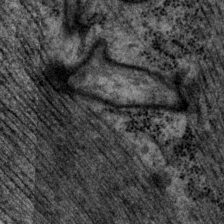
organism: P. pacificus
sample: Pharynx